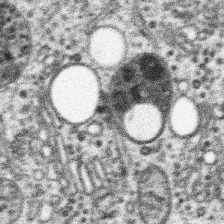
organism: Human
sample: HeLa cells